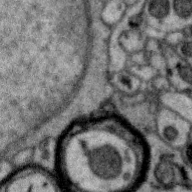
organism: Zebra finch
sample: Brain